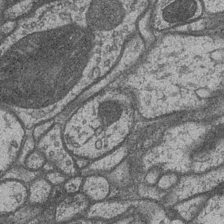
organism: Drosophila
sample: Optic medulla